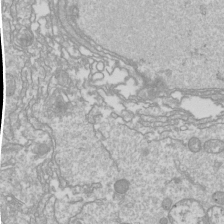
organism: Drosophila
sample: Cell division; meiosis; drosophila spermatocytes